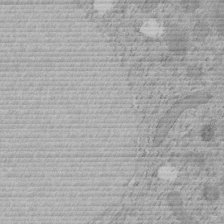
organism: C. elegans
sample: C. elegans embryo early stage